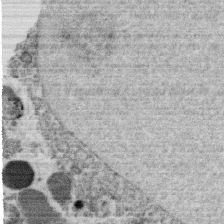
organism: C. elegans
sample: C. elegans oocyte; sperm cells